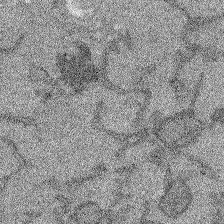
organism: Human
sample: HeLa cells